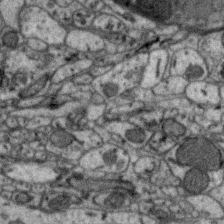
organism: Zebra finch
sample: Brain